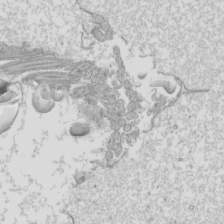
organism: Mouse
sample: Cilia; mouse epididymis